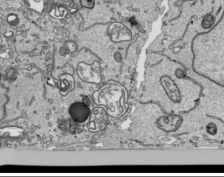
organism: Human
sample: Mitochondria in HCT116 cells